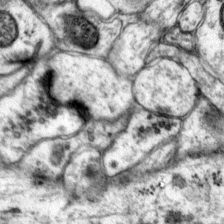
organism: Mouse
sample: Primary visual cortex